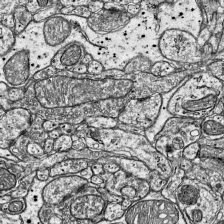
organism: Mouse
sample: Visual Cortex